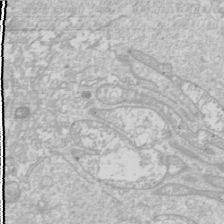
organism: Drosophila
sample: Cell division; meiosis; drosophila spermatocytes